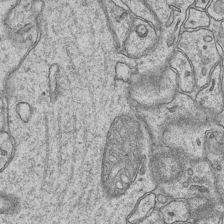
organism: Mouse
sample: CA1 Hippocampus